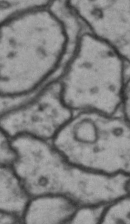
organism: Drosophila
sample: Brain